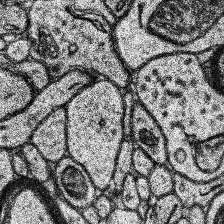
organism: Human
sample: Temporal Lobe